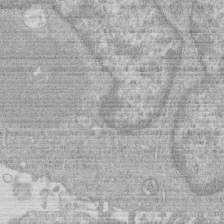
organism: Human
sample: Macrophage cells